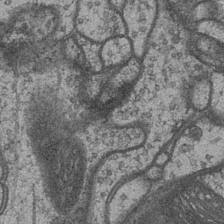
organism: Drosophila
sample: Optic medulla